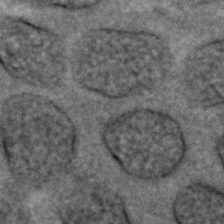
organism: C. elegans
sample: C. elegans embryo